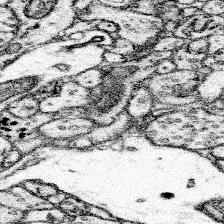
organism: Mouse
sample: Somatosensory cortex neuropil